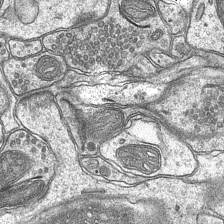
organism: Mouse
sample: CA1 Hippocampus